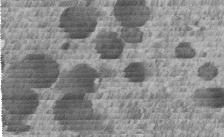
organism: C. elegans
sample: C. elegans embryo early stage